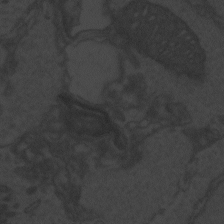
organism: Zebrafish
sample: Macrophage infected with Toxoplasma gondii